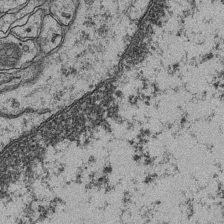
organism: Mouse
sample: CA1 Hippocampus